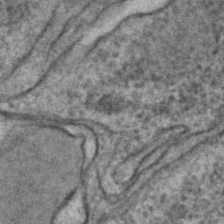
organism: C. elegans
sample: C. elegans embryo